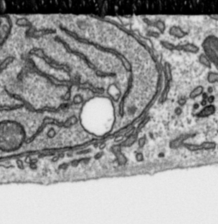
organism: Toxoplasma gondii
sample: Parasites in a vacuole inside a host cell